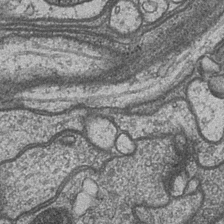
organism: Drosophila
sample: Optic medulla